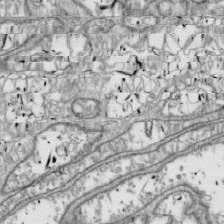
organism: Drosophila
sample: Cell division; meiosis; drosophila spermatocytes